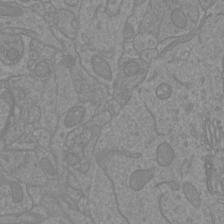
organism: Mouse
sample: Cortical neurons